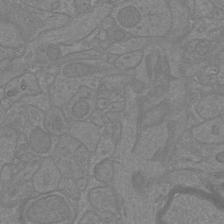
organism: Mouse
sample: Cortical neurons